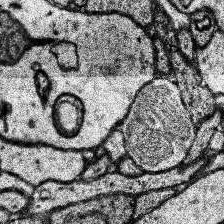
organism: Human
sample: Temporal Lobe